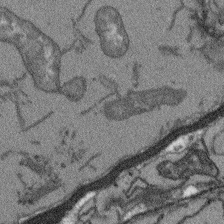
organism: Arabidopsis thaliana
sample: Root tip